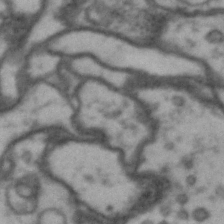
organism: Drosophila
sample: Brain